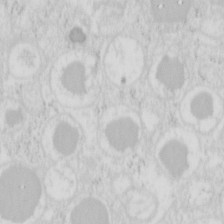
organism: Mouse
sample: Pancreas